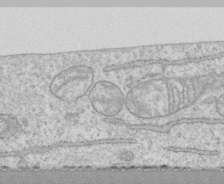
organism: Human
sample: CRL-1474